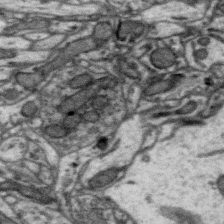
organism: Zebra finch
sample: Brain